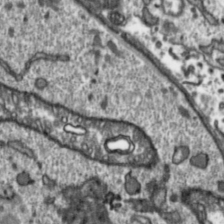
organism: Toxoplasma gondii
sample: Parasites in a vacuole inside a host cell